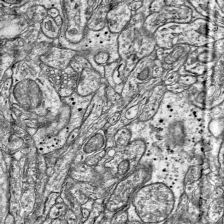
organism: Mouse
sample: Visual Cortex